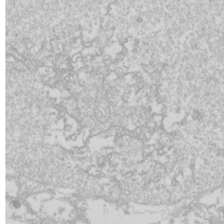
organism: Drosophila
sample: Cell division; meiosis; drosophila spermatocytes